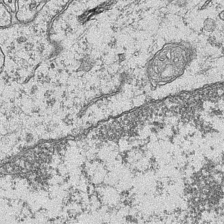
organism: Mouse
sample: CA1 Hippocampus